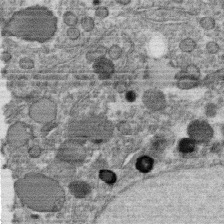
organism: C. elegans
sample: C. elegans oocyte; sperm cells